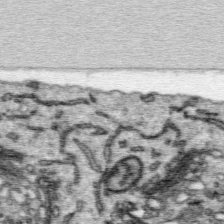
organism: Human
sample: HeLa cells